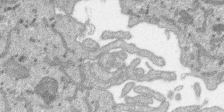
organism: Human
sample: Lung epithelial cells infected with SARS-CoV-2